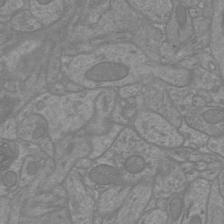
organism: Mouse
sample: Cortical neurons